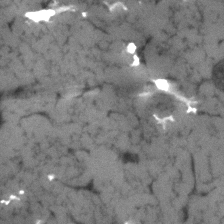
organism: Human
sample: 1205lu cells